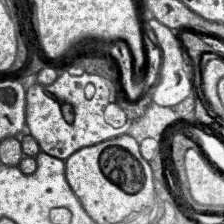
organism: Human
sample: Temporal Lobe